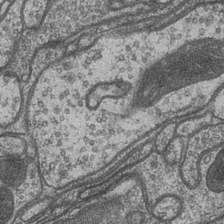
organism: Drosophila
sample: Optic medulla